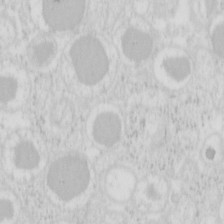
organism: Mouse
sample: Pancreas